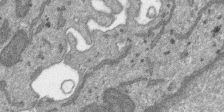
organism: Human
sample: Lung epithelial cells infected with SARS-CoV-2